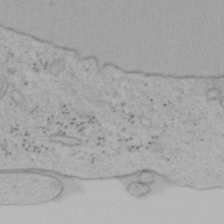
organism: Human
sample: HeLa cells